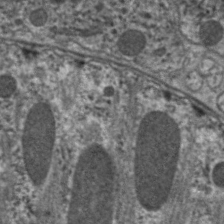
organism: C. elegans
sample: Pharynx